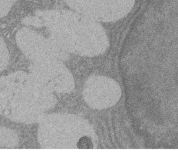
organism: Rat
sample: Salivary granule